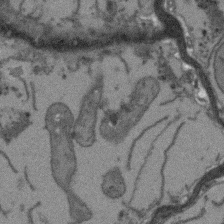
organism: Arabidopsis thaliana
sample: Root tip